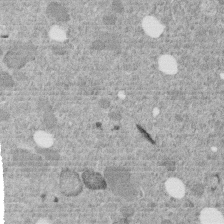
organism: C. elegans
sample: C. elegans embryo early stage